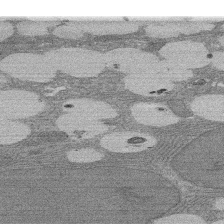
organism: Rat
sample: Salivary granule